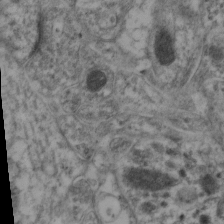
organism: Mouse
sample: Neocortex